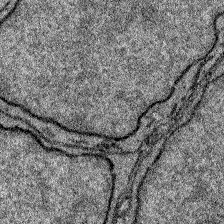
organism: Zebrafish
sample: Larval olfactory bulb